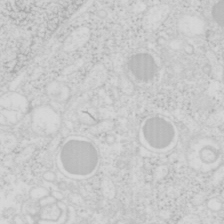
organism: Mouse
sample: Pancreas